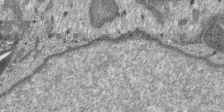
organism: Human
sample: Lung epithelial cells infected with SARS-CoV-2